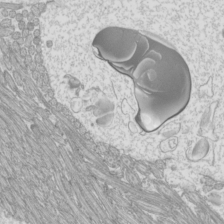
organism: Mouse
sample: Cilia; mouse epididymis